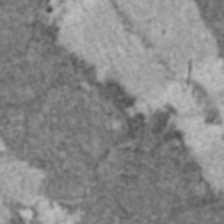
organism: C57BL Mouse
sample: Heart